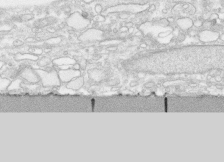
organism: Human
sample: CRL-1474